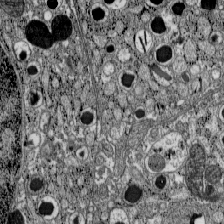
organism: C57BL Mouse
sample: Pancreatic islet